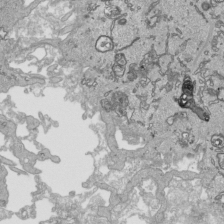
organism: Human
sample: Mitochondria in HCT116 cells